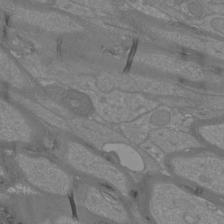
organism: Mouse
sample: Cortical neurons